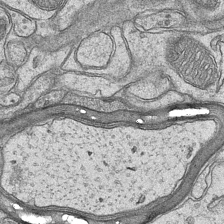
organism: Mouse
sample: CA1 Hippocampus